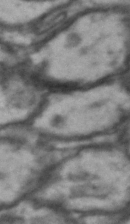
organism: Drosophila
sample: Brain